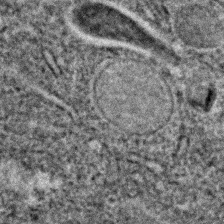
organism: C. elegans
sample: C. elegans embryo